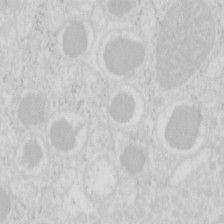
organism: Mouse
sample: Pancreas